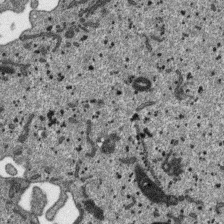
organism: Human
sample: Lung epithelial cells infected with SARS-CoV-2